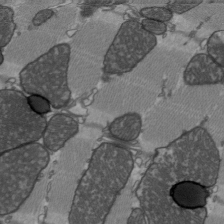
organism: C57BL Mouse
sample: Heart